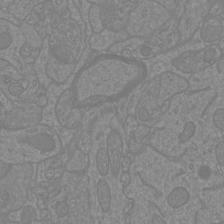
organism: Mouse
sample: Cortical neurons